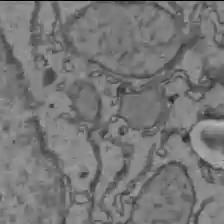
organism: C57BL Mouse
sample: Liver